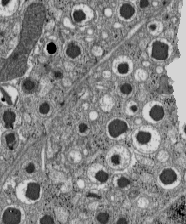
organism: C57BL Mouse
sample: Pancreatic islet